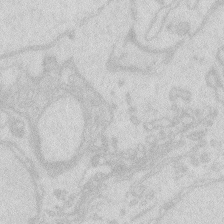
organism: Zebrafish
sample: Macrophage